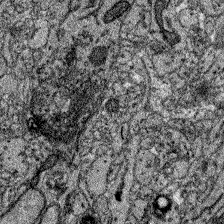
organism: Zebrafish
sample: Larval olfactory bulb